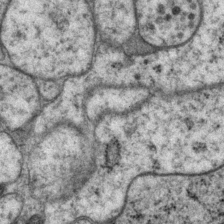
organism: P. pacificus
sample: Pharynx